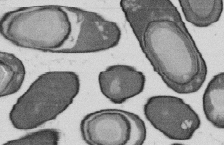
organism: B. subtilis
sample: Bacterial spore